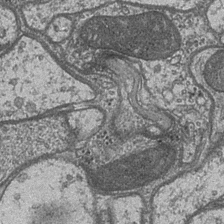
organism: Drosophila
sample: Optic medulla